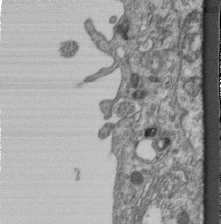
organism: Mouse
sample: Centriole in ependymal cells